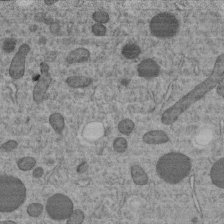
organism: C. elegans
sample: C. elegans embryo early stage